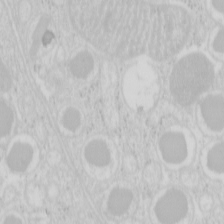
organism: Mouse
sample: Pancreas